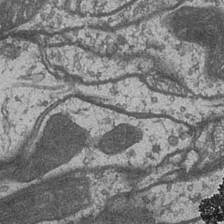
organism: Drosophila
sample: Optic medulla